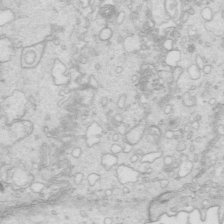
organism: Mouse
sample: Multiciliated cells